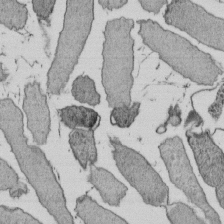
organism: E. coli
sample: Bacterial nucleoid